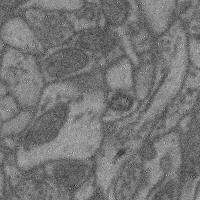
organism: Mouse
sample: Cerebral cortex